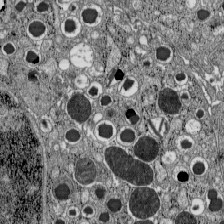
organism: C57BL Mouse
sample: Pancreatic islet